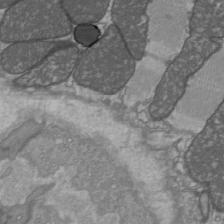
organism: C57BL Mouse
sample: Heart